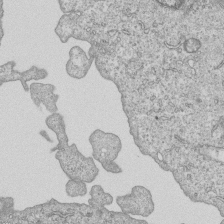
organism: Human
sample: MDA-MB-231 cells